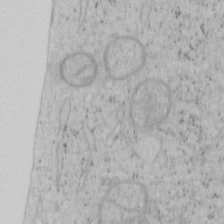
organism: Human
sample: HeLa cells